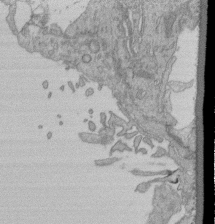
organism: Human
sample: Retinal organoid Rod and Cone cells